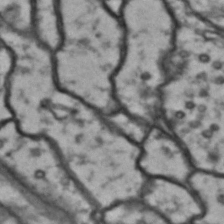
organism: Drosophila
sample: Brain